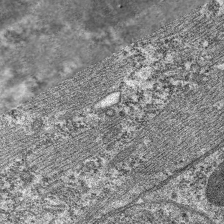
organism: C. elegans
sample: Pharynx